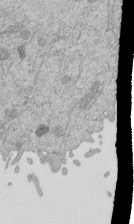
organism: Mouse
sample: ED-1 cell nuclei; centrioles